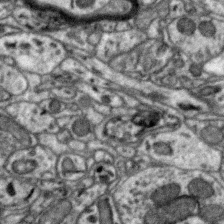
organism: Zebra finch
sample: Brain